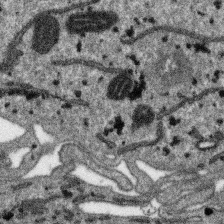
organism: Human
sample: Lung epithelial cells infected with SARS-CoV-2